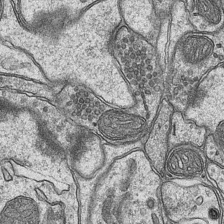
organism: Mouse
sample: CA1 Hippocampus